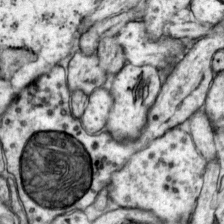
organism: Mouse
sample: Primary visual cortex